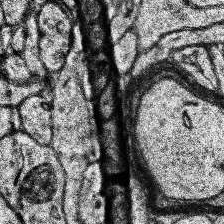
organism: Human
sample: Temporal Lobe